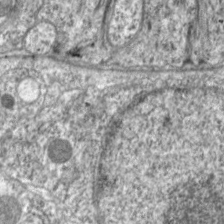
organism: C. elegans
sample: Pharynx